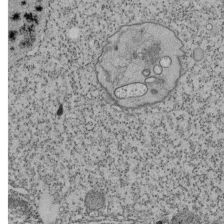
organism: Tetrahymena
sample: Cilia in tetrahymena